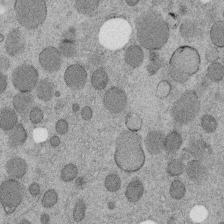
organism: C. elegans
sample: C. elegans embryo early stage